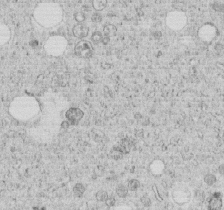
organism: C. elegans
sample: C. elegans embryo early stage